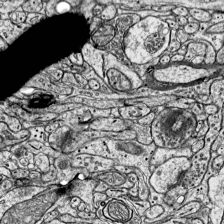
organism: Mouse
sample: Visual Cortex